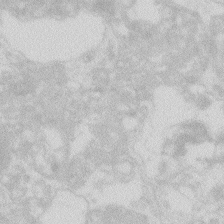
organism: Zebrafish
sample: Macrophage